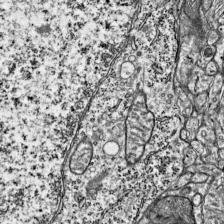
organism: Mouse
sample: Visual Cortex